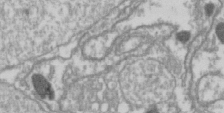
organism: Drosophila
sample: Cell division; meiosis; drosophila spermatocytes